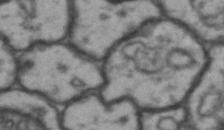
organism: Drosophila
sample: Brain